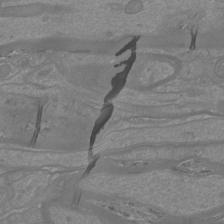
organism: Mouse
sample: Cortical neurons